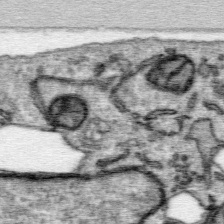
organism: Human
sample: HeLa cells